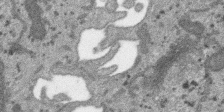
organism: Human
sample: Lung epithelial cells infected with SARS-CoV-2